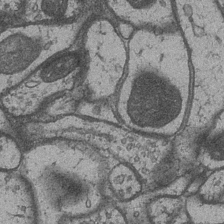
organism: Drosophila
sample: Optic medulla